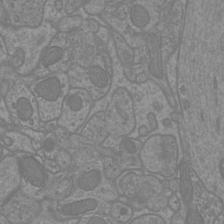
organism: Mouse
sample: Cortical neurons